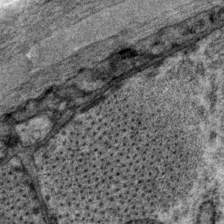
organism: P. pacificus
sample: Pharynx